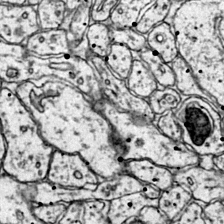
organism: Mouse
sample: Primary visual cortex